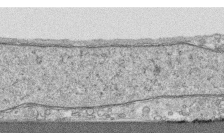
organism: Human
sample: CRL-1474